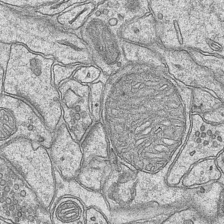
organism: Mouse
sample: CA1 Hippocampus